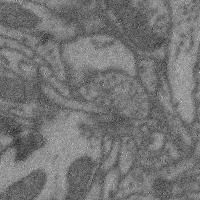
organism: Mouse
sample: Cerebral cortex